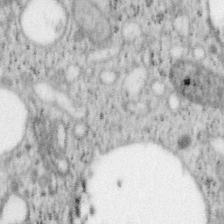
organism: Mouse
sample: OT-I killer T cells with ID8 ovarian cancer cells